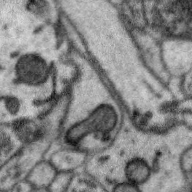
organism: Zebra finch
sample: Brain